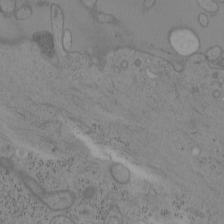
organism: Mouse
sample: OT-I killer T cells with ID8 ovarian cancer cells